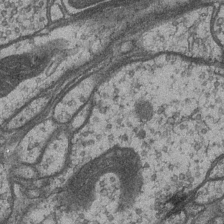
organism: Drosophila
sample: Optic medulla